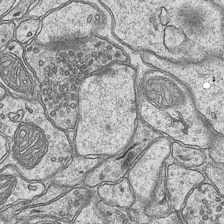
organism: Mouse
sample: CA1 Hippocampus